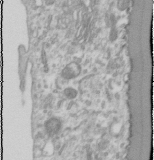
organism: Human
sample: Cilia; basal body in RPE cells